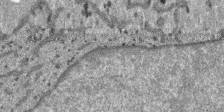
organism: Human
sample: Lung epithelial cells infected with SARS-CoV-2